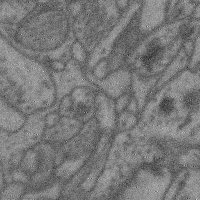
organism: Mouse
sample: Cerebral cortex